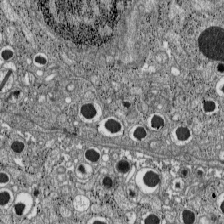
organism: C57BL Mouse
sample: Pancreatic islet